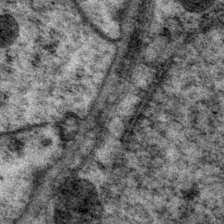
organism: P. pacificus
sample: Pharynx